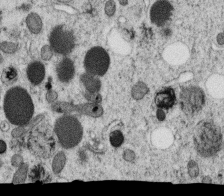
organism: C. elegans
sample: C. elegans oocyte; sperm cells